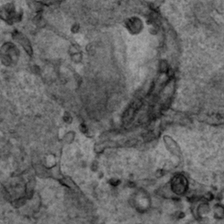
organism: Human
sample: Mitochondria in HCT116 cells